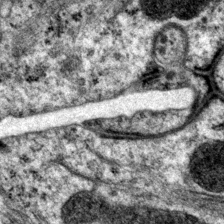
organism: P. pacificus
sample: Pharynx